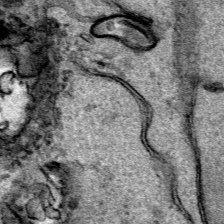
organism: Human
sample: Mitochondria in HCT116 cells